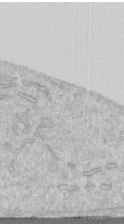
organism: Human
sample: Centriole in RPE cells